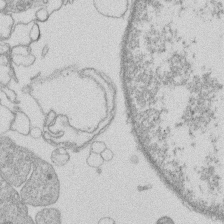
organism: Human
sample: Macrophage cells